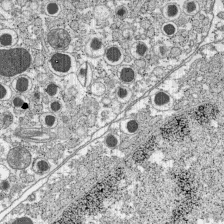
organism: C57BL Mouse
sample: Pancreatic islet